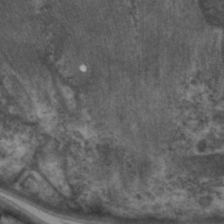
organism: C. elegans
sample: Pharynx